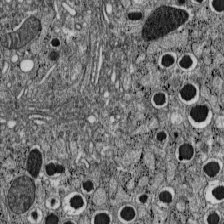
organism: C57BL Mouse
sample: Pancreatic islet